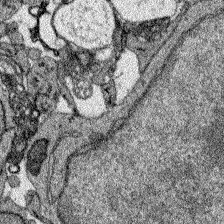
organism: Zebrafish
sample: Larval olfactory bulb